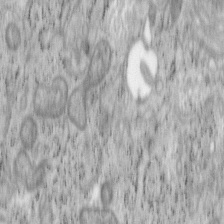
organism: Human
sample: HeLa cells